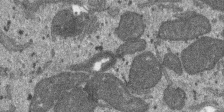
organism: Human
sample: Lung epithelial cells infected with SARS-CoV-2